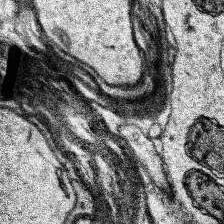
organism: Human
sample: Temporal Lobe